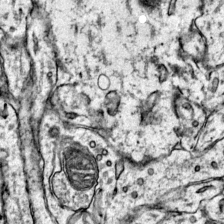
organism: Mouse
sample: Primary visual cortex